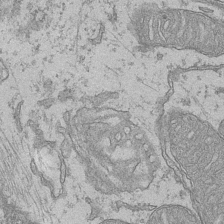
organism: Mouse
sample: CA1 Hippocampus